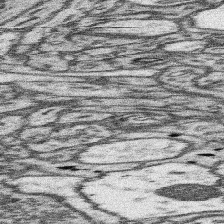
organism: Mouse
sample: Somatosensory cortex neuropil